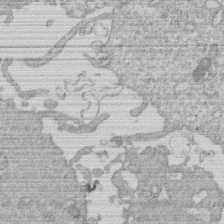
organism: Human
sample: Macrophage cells